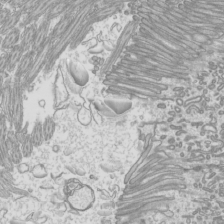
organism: Mouse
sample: Cilia; mouse epididymis